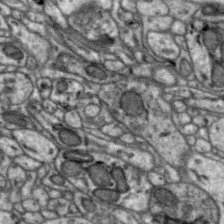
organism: Zebra finch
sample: Brain